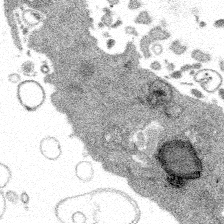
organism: Spongilla lacustris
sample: Multiple